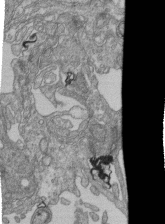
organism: Human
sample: Retinal organoid Rod and Cone cells